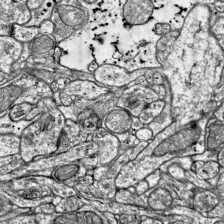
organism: Mouse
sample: Visual Cortex